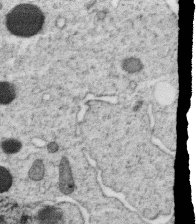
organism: C. elegans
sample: C. elegans oocyte; sperm cells